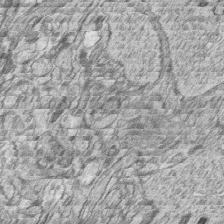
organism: Zebrafish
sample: synaptic ribbons in rod cells and cone cells